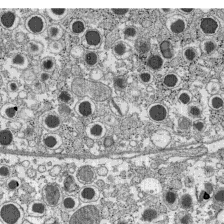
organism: C57BL Mouse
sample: Pancreatic islet